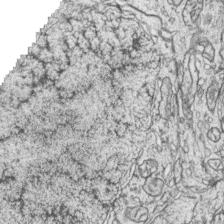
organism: Zebrafish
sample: synaptic ribbons in rod cells and cone cells